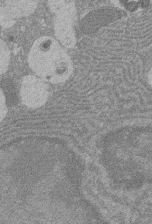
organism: Rat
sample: Salivary granule